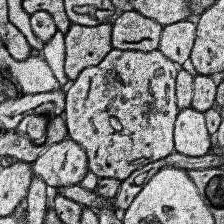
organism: Human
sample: Temporal Lobe